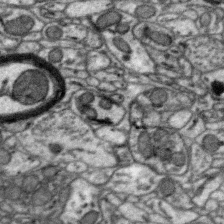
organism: Zebra finch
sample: Brain